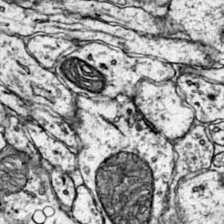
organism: Mouse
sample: Primary visual cortex